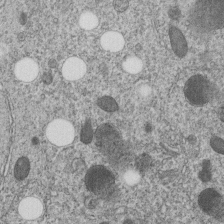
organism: C. elegans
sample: C. elegans embryo early stage